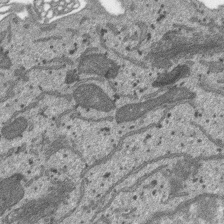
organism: Human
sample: Lung epithelial cells infected with SARS-CoV-2